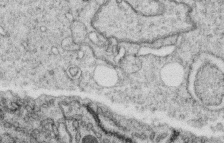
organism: C. elegans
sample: C. elegans oocyte; sperm cells